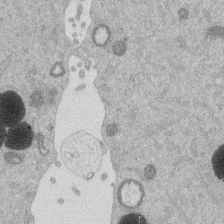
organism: Mouse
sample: Dividing mouse embryo 1 cell stage